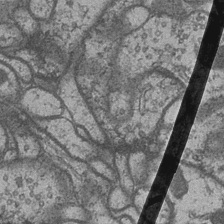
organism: Drosophila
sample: Optic medulla